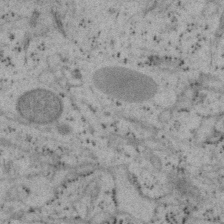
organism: Human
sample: HeLa cells